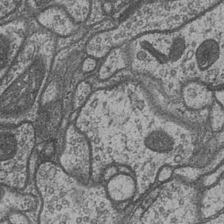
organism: Drosophila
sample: Optic medulla